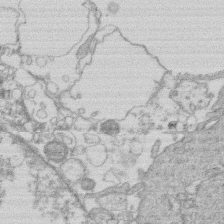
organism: Human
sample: Macrophage cells